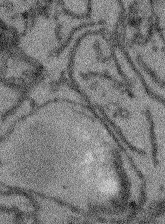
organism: Arabidopsis thaliana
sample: Root tip